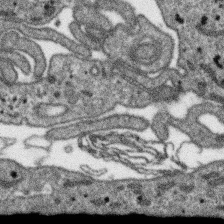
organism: Human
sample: Lung epithelial cells infected with SARS-CoV-2